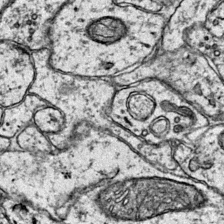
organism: Mouse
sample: Primary visual cortex